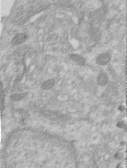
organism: Human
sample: Centriole in RPE cells